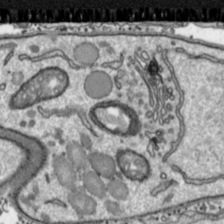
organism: Toxoplasma gondii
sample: Parasites in a vacuole inside a host cell